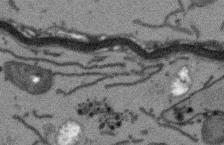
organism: Arabidopsis thaliana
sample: Root tip